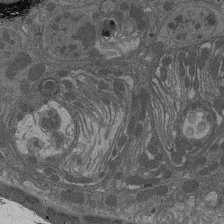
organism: Drosophila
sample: Antenna